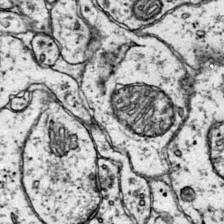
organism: Mouse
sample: Primary visual cortex